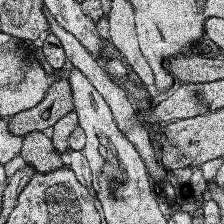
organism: Human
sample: Temporal Lobe